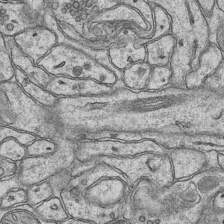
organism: Mouse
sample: CA1 Hippocampus